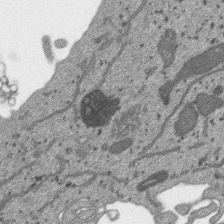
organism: Human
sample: Lung epithelial cells infected with SARS-CoV-2